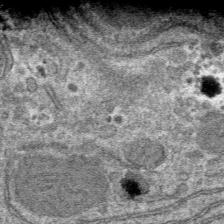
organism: Mouse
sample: Mouse hepatocytes